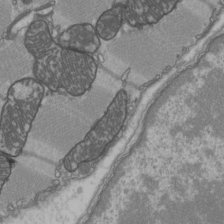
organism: C57BL Mouse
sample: Heart